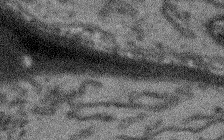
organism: Arabidopsis thaliana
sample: Root tip